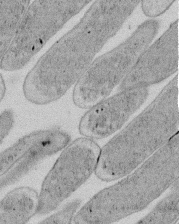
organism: E. coli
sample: Bacterial nucleoid